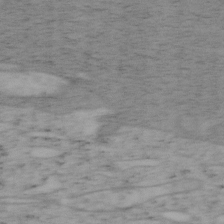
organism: Mouse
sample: OT-I killer T cells with ID8 ovarian cancer cells